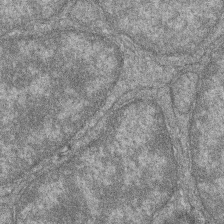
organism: Zebrafish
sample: Cilia; retinal pigment epithelium